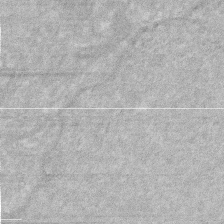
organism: Human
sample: HIV infected U937 cells